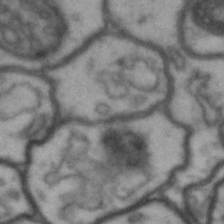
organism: Drosophila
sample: Brain